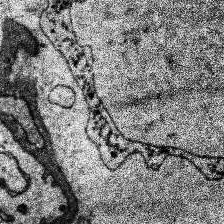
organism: Human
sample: Temporal Lobe